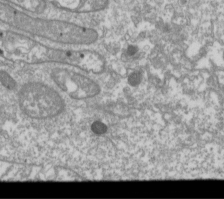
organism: Drosophila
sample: Cell division; meiosis; drosophila spermatocytes